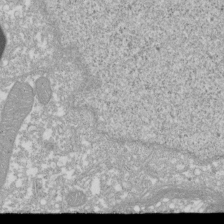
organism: Xenopus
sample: Cilia; centrioles in frog embryo cells